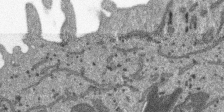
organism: Human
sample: Lung epithelial cells infected with SARS-CoV-2